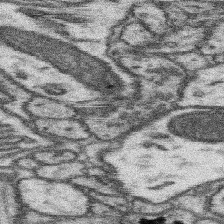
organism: Mouse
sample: Somatosensory cortex neuropil